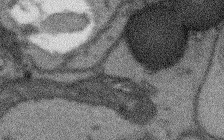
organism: Arabidopsis thaliana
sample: Root tip